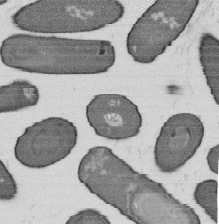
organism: B. subtilis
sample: Bacterial spore